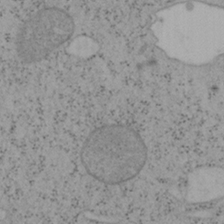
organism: Mouse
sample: OT-I killer T cells with ID8 ovarian cancer cells